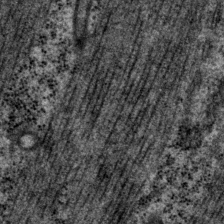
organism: P. pacificus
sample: Pharynx